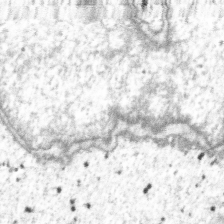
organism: Human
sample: HeLa cells